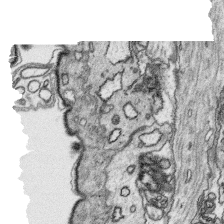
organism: Platynereis dumerilii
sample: Parapodia